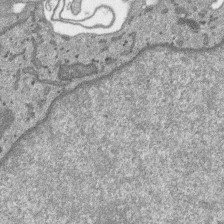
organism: Human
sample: Lung epithelial cells infected with SARS-CoV-2